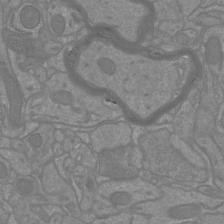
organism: Mouse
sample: Cortical neurons